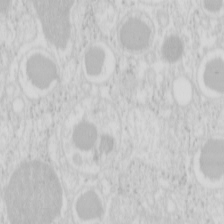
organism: Mouse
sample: Pancreas